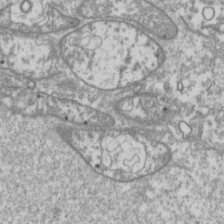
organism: Drosophila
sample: Cell division; meiosis; drosophila spermatocytes